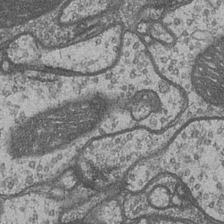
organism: Drosophila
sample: Optic medulla